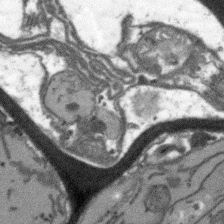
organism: Arabidopsis thaliana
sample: Root tip